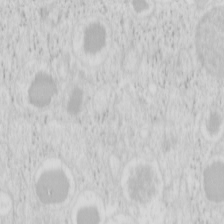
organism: Mouse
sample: Pancreas